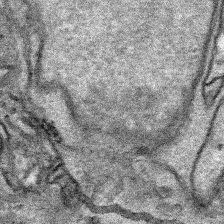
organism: Human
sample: Mitochondria in HCT116 cells